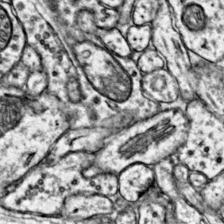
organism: Mouse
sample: Primary visual cortex